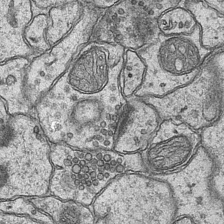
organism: Mouse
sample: CA1 Hippocampus